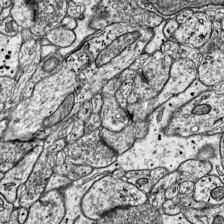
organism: Mouse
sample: Visual Cortex